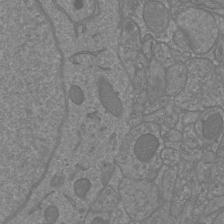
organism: Mouse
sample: Cortical neurons